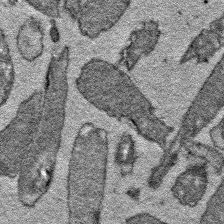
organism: E. coli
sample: E. Coli Bacteria